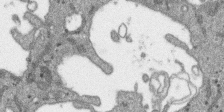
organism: Human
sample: Lung epithelial cells infected with SARS-CoV-2